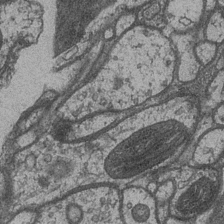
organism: Drosophila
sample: Optic medulla